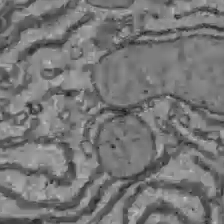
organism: C57BL Mouse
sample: Liver